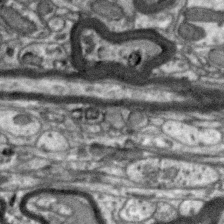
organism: Zebra finch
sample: Brain